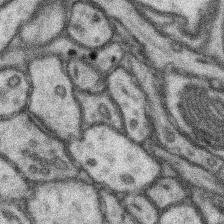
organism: Mouse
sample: Somatosensory cortex neuropil